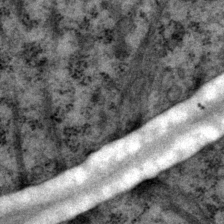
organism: P. pacificus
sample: Pharynx